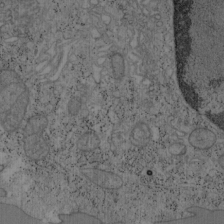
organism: Mouse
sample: OT-I killer T cells with ID8 ovarian cancer cells